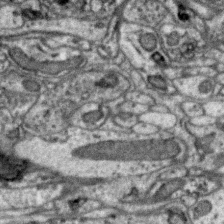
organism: Zebra finch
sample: Brain